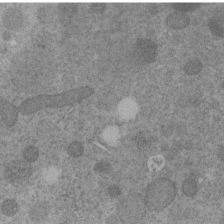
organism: C. elegans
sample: C. elegans embryo early stage